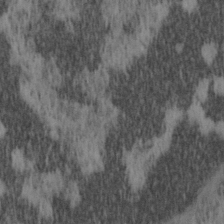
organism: Mouse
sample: OT-I killer T cells with ID8 ovarian cancer cells